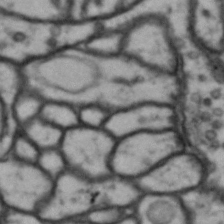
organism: Drosophila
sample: Brain